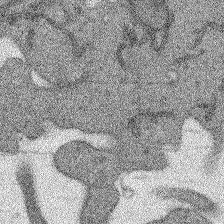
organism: Human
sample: HeLa cells